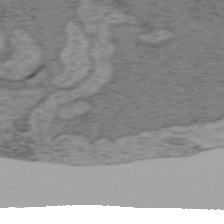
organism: Mouse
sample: OT-I killer T cells with ID8 ovarian cancer cells